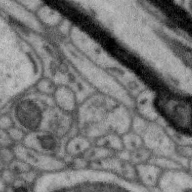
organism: Zebra finch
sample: Brain